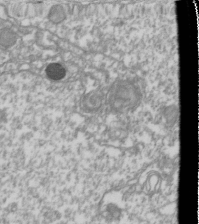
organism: Drosophila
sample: Cell division; meiosis; drosophila spermatocytes